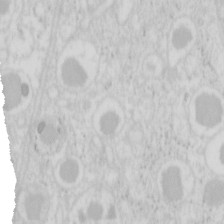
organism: Mouse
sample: Pancreas